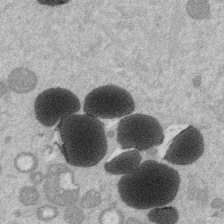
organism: Mouse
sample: Dividing mouse embryo 1 cell stage